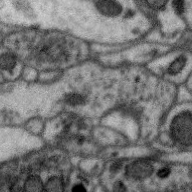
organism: Zebra finch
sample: Brain